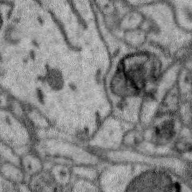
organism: Zebra finch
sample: Brain